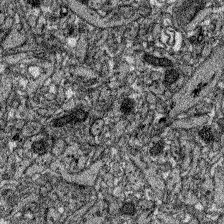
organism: Zebrafish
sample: Larval olfactory bulb